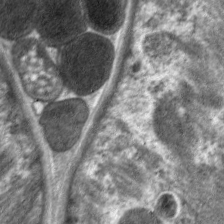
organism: C. elegans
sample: Pharynx